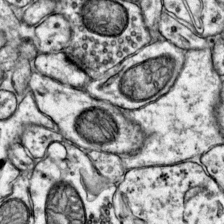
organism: Mouse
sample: Primary visual cortex